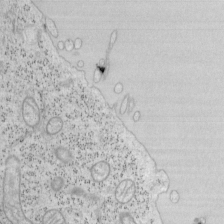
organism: Mouse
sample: OT-I killer T cells with ID8 ovarian cancer cells